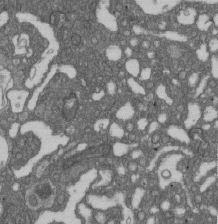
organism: Drosophila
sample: Nephrocyte